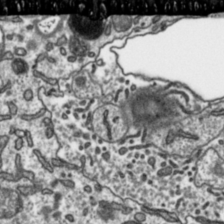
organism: Toxoplasma gondii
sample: Parasites in a vacuole inside a host cell